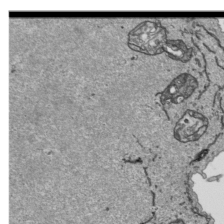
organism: Human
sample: Mitochondria in HCT116 cells